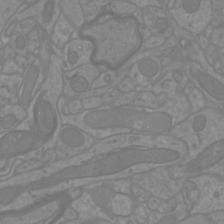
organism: Mouse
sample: Cortical neurons